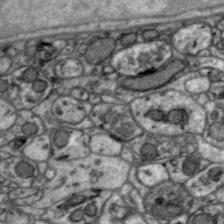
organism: Zebra finch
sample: Brain